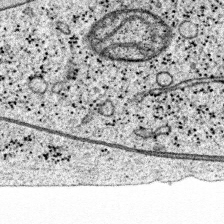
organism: Human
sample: HeLa cells